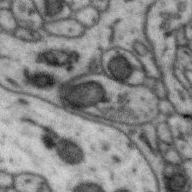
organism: Zebra finch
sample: Brain